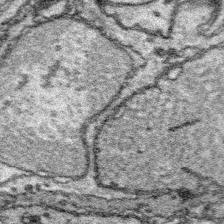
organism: Platynereis dumerilii